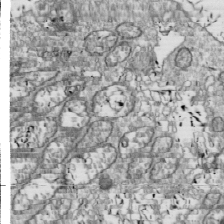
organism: Drosophila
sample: Cell division; meiosis; drosophila spermatocytes